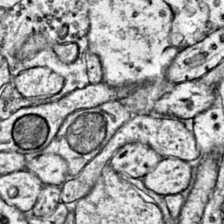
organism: Mouse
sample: Primary visual cortex